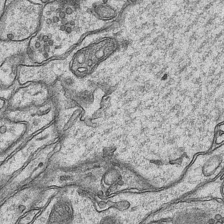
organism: Mouse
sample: CA1 Hippocampus